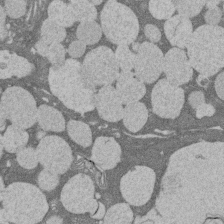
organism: Rat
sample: Salivary granule